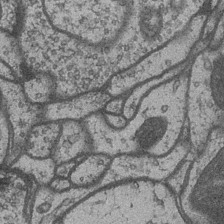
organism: Drosophila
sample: Optic medulla